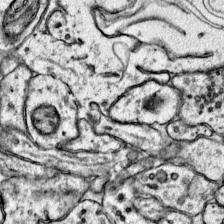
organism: Mouse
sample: Primary visual cortex